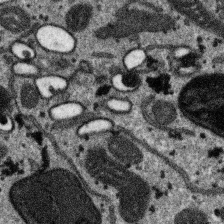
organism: Human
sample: Lung epithelial cells infected with SARS-CoV-2